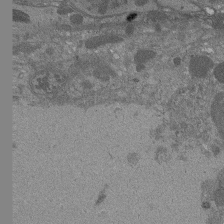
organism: Drosophila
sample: Antenna